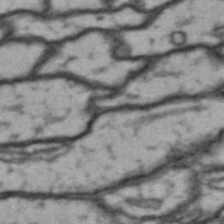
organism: Drosophila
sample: Brain